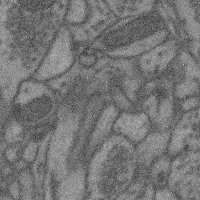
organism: Mouse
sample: Cerebral cortex